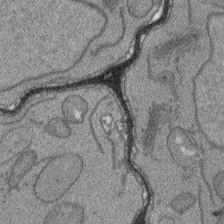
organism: Arabidopsis thaliana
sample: Root tip